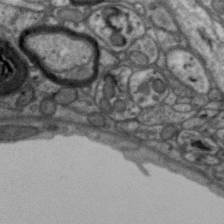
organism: Zebra finch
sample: Brain